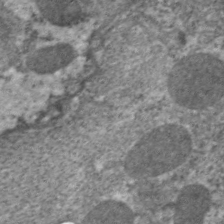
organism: C. elegans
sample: Pharynx